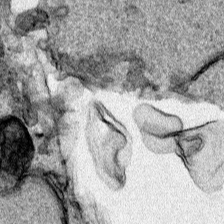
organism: Human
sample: Mitochondria in HCT116 cells